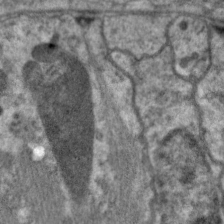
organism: C. elegans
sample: Pharynx